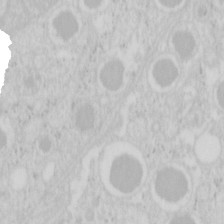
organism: Mouse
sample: Pancreas